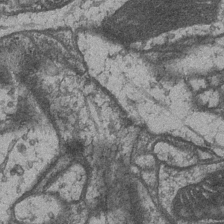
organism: Drosophila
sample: Optic medulla